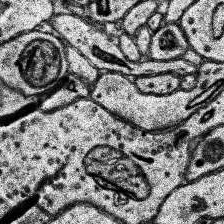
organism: Human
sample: Temporal Lobe